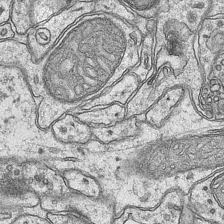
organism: Mouse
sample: CA1 Hippocampus